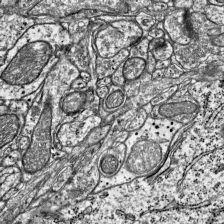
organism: Mouse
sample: Visual Cortex